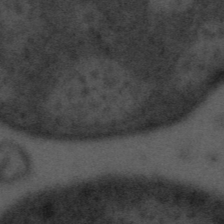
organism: Tuwongella immobilis